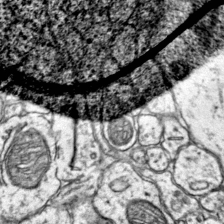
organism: Mouse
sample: Primary visual cortex